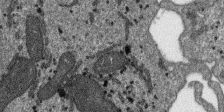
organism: Human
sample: Lung epithelial cells infected with SARS-CoV-2